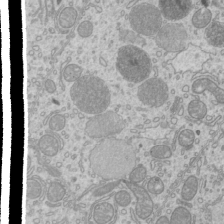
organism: Mouse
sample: Cilia; mouse epididymis